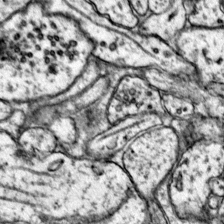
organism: Mouse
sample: Primary visual cortex